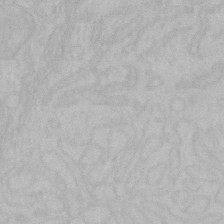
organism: Mouse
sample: Choroid plexus